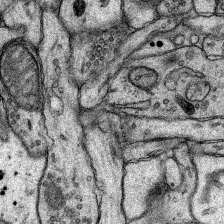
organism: Rat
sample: Hippocampus